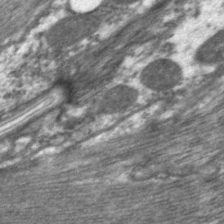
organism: C. elegans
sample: Pharynx